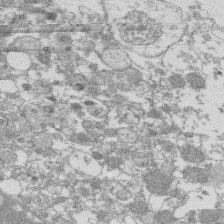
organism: Human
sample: HeLa cell HIV synapse